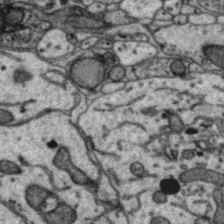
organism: Zebra finch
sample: Brain